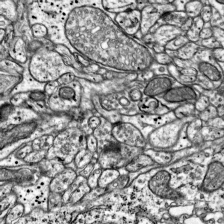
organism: Mouse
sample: Visual Cortex